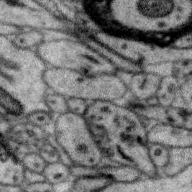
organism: Zebra finch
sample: Brain